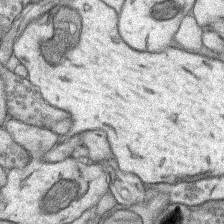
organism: Rat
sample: Hippocampus